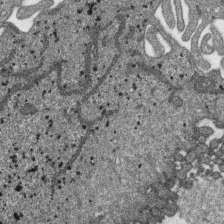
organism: Human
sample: Lung epithelial cells infected with SARS-CoV-2